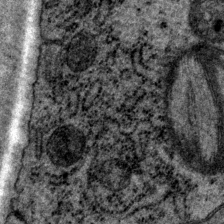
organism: P. pacificus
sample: Pharynx